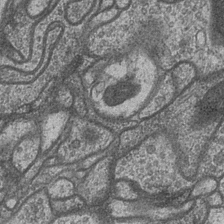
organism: Drosophila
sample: Optic medulla